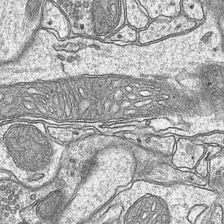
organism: Mouse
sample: CA1 Hippocampus